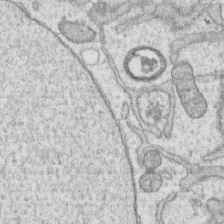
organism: Human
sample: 1205lu cells